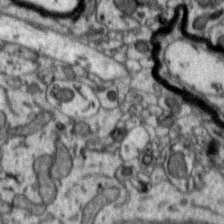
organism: Zebra finch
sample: Brain